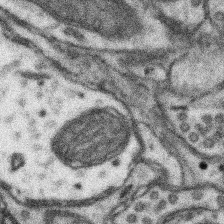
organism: Mouse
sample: Somatosensory cortex neuropil